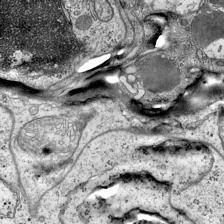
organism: Mouse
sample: Visual Cortex